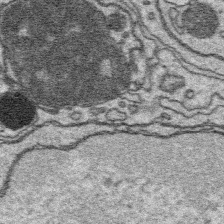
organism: Platynereis dumerilii